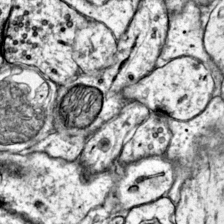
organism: Mouse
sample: Primary visual cortex